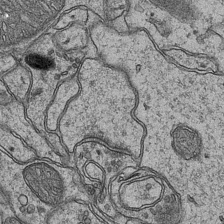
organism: Mouse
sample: CA1 Hippocampus